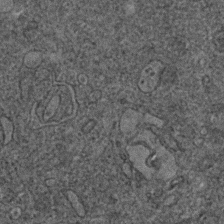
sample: Trachea